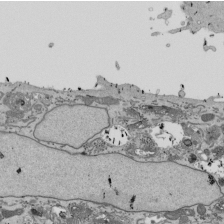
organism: Mouse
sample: ED-1 cell nuclei; centrioles